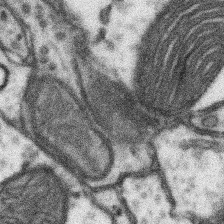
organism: Mouse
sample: Somatosensory cortex neuropil